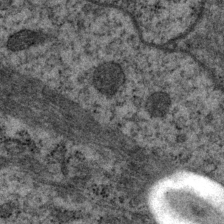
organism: P. pacificus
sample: Pharynx